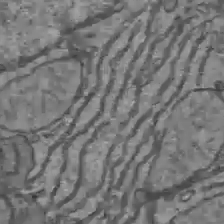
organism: C57BL Mouse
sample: Liver